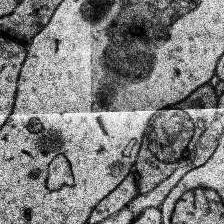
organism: Human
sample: Temporal Lobe